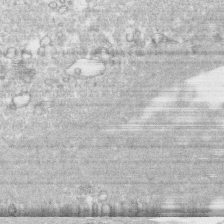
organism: Human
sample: CRL-1474